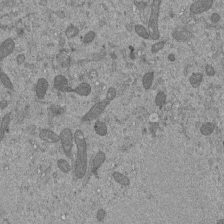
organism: Mouse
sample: ED-1 cell nuclei; centrioles